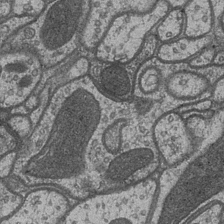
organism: Drosophila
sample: Optic medulla